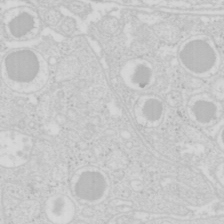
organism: Mouse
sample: Pancreas